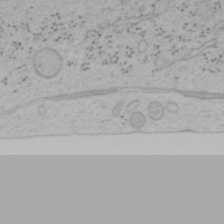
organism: Human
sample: HeLa cells